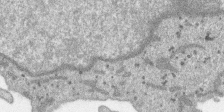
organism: Human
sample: Lung epithelial cells infected with SARS-CoV-2